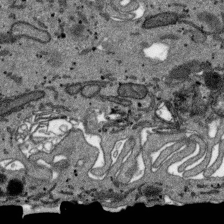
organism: Human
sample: Lung epithelial cells, uninfected (mock) control